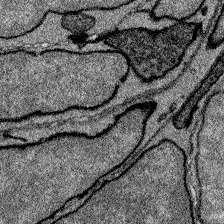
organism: Zebrafish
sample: Larval olfactory bulb